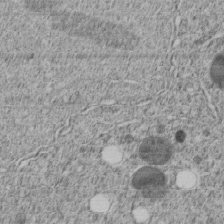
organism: C. elegans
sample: C. elegans embryo early stage